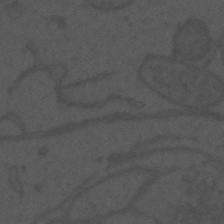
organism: Mouse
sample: Suprachiasmatic nucleus